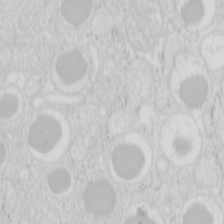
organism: Mouse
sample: Pancreas